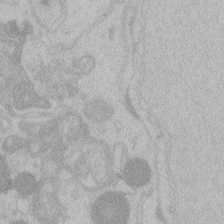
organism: Zebrafish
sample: Macrophage infected with Toxoplasma gondii